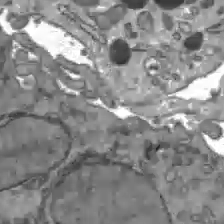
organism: C57BL Mouse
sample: Liver